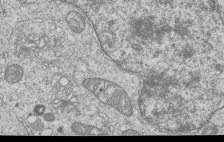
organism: Human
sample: MDA-MB-231 cells